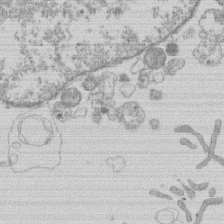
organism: Human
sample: Macrophage cells